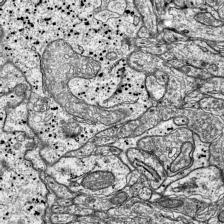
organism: Mouse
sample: Visual Cortex